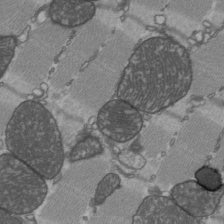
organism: C57BL Mouse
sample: Heart